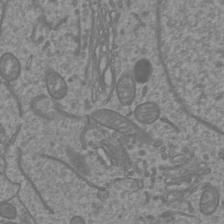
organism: Mouse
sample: Cortical neurons